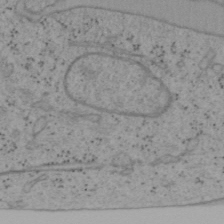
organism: Human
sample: HeLa cells